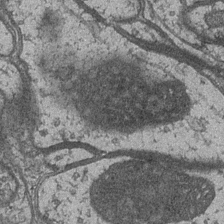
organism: Drosophila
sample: Optic medulla